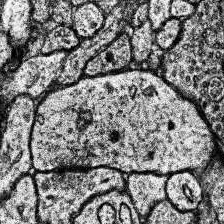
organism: Human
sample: Temporal Lobe